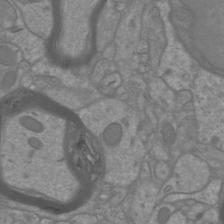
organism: Mouse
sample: Cortical neurons